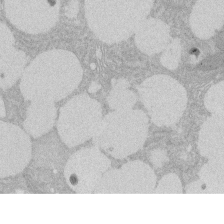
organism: Rat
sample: Salivary granule